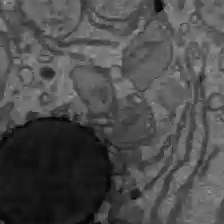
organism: C57BL Mouse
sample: Liver